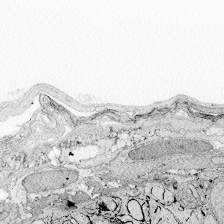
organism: Zebrafish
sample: Whole-Brain